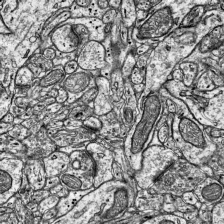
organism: Mouse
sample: Visual Cortex